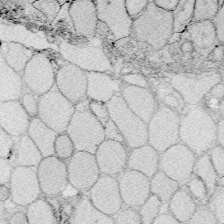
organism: Zebrafish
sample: Whole-Brain